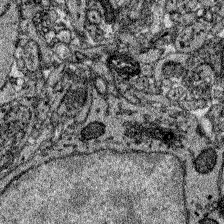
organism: Zebrafish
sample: Larval olfactory bulb